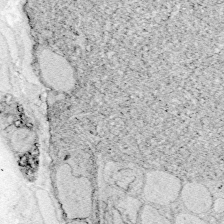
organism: Zebrafish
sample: Whole-Brain